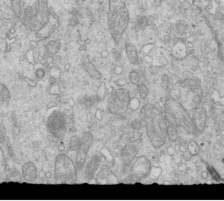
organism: Mouse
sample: Multiciliated cells